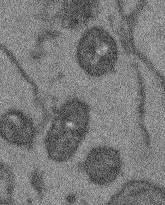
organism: Arabidopsis thaliana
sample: Root tip